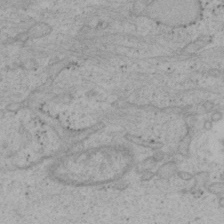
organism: Human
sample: HeLa cells